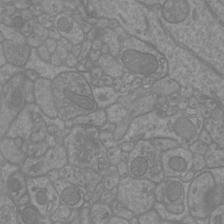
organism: Mouse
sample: Cortical neurons